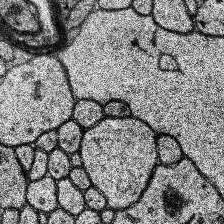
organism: Human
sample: Temporal Lobe